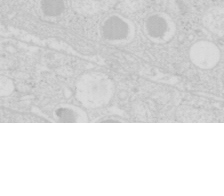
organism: Mouse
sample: Pancreas